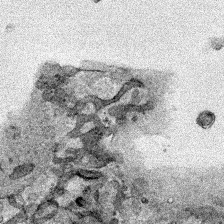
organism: Human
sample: Mitochondria in HCT116 cells